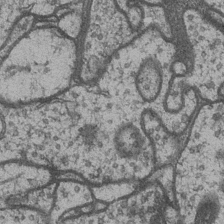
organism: Drosophila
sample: Optic medulla